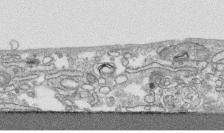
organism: Human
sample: CRL-1474